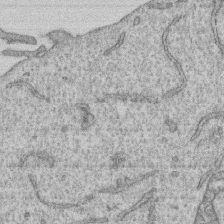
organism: Human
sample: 1205lu cells